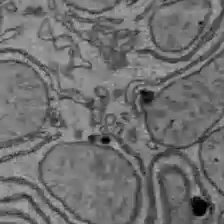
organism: C57BL Mouse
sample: Liver